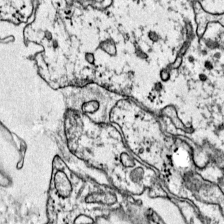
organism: Mouse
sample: Primary visual cortex